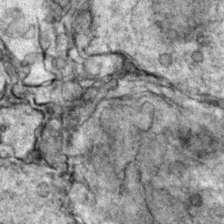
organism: Zebrafish